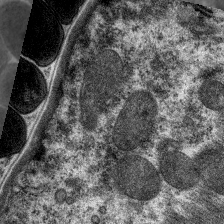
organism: C. elegans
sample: Pharynx